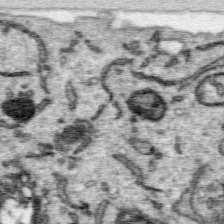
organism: Human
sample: HeLa cells